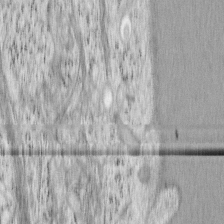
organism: Human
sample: HeLa cells